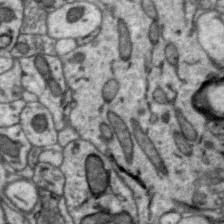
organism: Zebra finch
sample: Brain